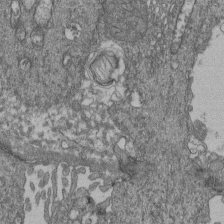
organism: Human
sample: Retinal organoid Rod and Cone cells